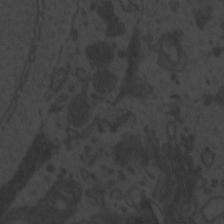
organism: Zebrafish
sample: Macrophage infected with Toxoplasma gondii